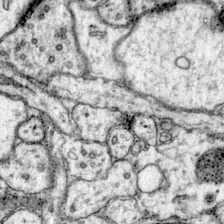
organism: Mouse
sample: Primary visual cortex